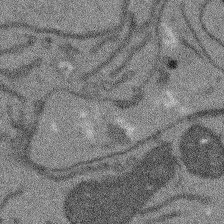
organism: Arabidopsis thaliana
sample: Root tip